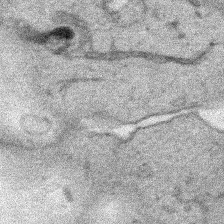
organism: Human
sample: Mitochondria in HCT116 cells